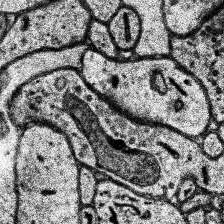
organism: Human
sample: Temporal Lobe